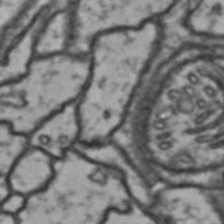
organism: Drosophila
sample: Brain